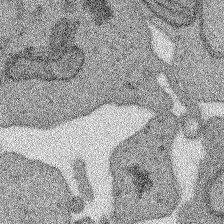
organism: Human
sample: HeLa cells